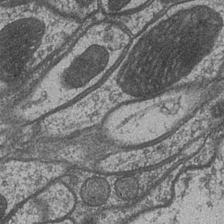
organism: Drosophila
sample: Optic medulla